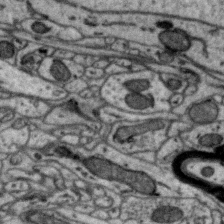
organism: Zebra finch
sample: Brain